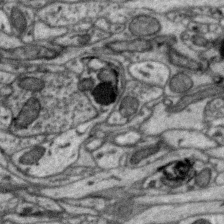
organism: Zebra finch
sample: Brain